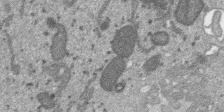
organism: Human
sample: Lung epithelial cells infected with SARS-CoV-2